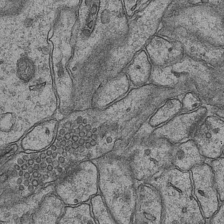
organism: Mouse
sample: CA1 Hippocampus